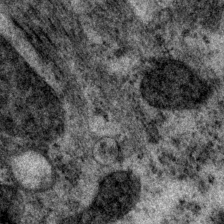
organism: P. pacificus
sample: Pharynx